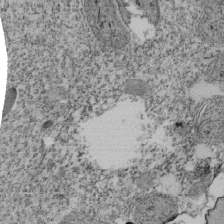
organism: Tetrahymena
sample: Cilia in tetrahymena